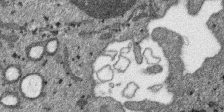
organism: Human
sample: Lung epithelial cells infected with SARS-CoV-2